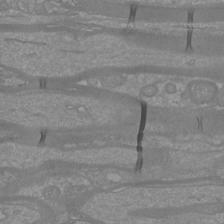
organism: Mouse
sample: Cortical neurons